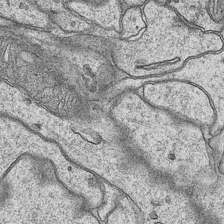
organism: Mouse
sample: CA1 Hippocampus